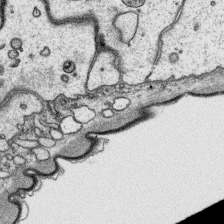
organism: Platynereis dumerilii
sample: Parapodia